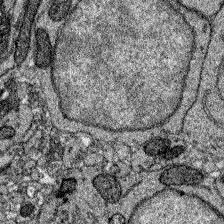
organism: Zebrafish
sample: Larval olfactory bulb